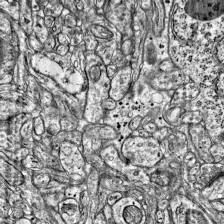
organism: Mouse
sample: Visual Cortex